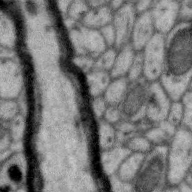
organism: Zebra finch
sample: Brain